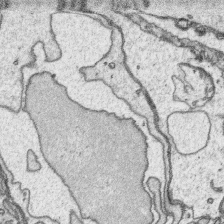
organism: Platynereis dumerilii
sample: Parapodia